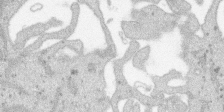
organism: Human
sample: Lung epithelial cells infected with SARS-CoV-2